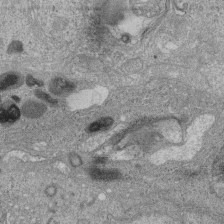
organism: Human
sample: Retinal organoid Rod and Cone cells